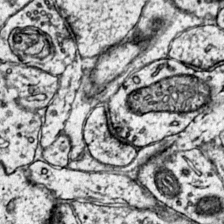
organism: Mouse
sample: Primary visual cortex